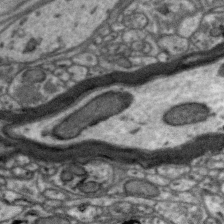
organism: Zebra finch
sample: Brain